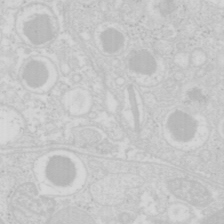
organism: Mouse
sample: Pancreas